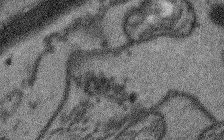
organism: Arabidopsis thaliana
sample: Root tip